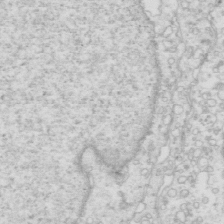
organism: Mouse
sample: Multiciliated cells